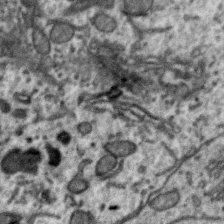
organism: Zebra finch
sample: Brain